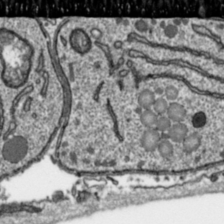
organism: Toxoplasma gondii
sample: Parasites in a vacuole inside a host cell